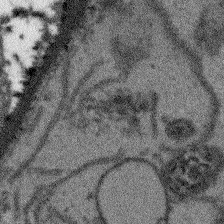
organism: Arabidopsis thaliana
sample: Root tip